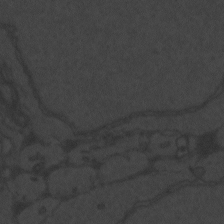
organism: Zebrafish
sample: Macrophage infected with Toxoplasma gondii